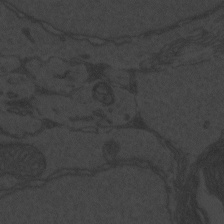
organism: Zebrafish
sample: Macrophage infected with Toxoplasma gondii